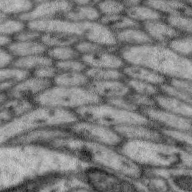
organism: Zebra finch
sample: Brain